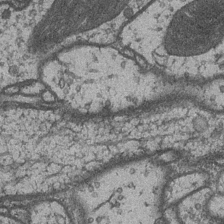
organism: Drosophila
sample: Optic medulla